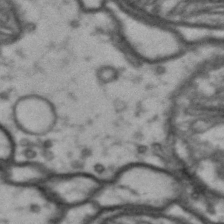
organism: Drosophila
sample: Brain